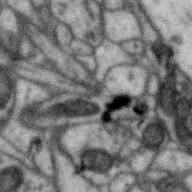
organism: Zebra finch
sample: Brain